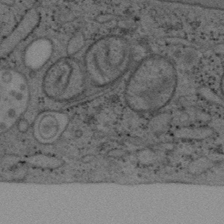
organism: Human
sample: HeLa cells